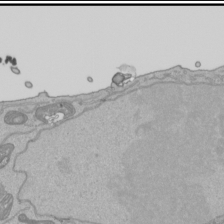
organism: Human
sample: Mitochondria in HCT116 cells